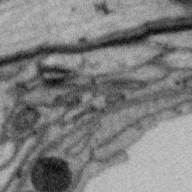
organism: Zebra finch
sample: Brain